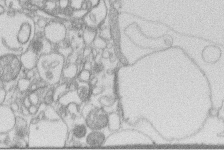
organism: Human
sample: Macrophage cells